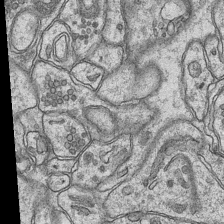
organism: Mouse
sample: CA1 Hippocampus